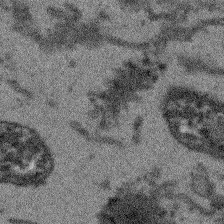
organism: Arabidopsis thaliana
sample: Root tip